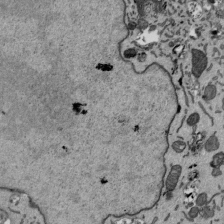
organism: Mouse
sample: ED-1 cell nuclei; centrioles